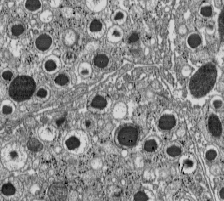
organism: C57BL Mouse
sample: Pancreatic islet